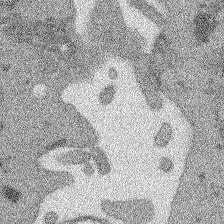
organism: Human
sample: HeLa cells